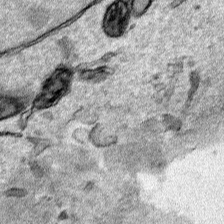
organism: Human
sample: Mitochondria in HCT116 cells